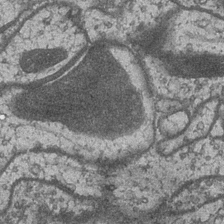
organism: Drosophila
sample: Optic medulla